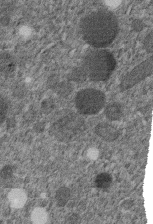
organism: C. elegans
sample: C. elegans embryo early stage